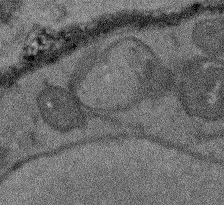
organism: Arabidopsis thaliana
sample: Root tip